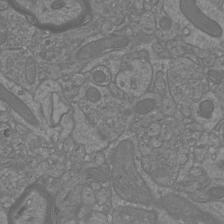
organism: Mouse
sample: Cortical neurons